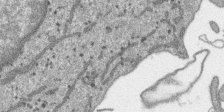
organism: Human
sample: Lung epithelial cells infected with SARS-CoV-2